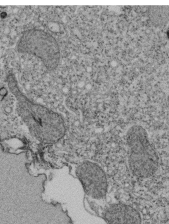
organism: Tetrahymena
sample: Cilia in tetrahymena